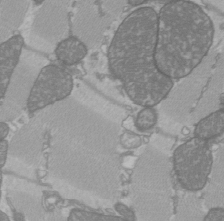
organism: C57BL Mouse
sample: Heart